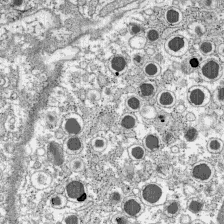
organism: C57BL Mouse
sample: Pancreatic islet